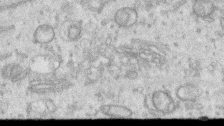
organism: Human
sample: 1205lu cells